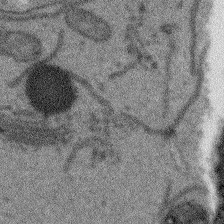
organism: Arabidopsis thaliana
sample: Root tip